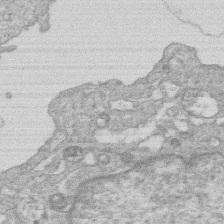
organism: Human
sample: Macrophage cells